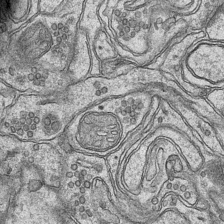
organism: Mouse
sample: CA1 Hippocampus